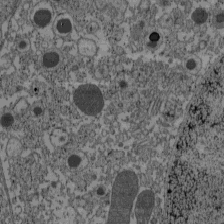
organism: C57BL Mouse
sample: Pancreatic islet